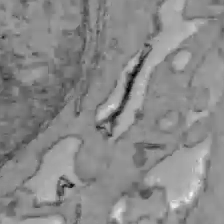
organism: C57BL Mouse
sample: Liver